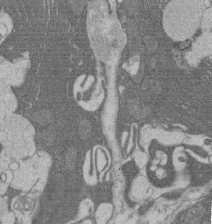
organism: Rat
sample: Salivary granule